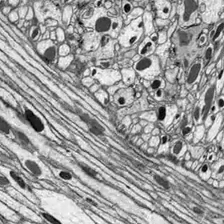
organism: Drosophila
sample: Optic lobe